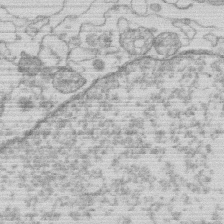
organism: Human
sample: Macrophage cells